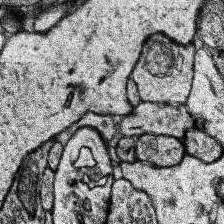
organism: Human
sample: Temporal Lobe